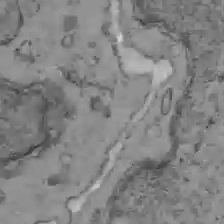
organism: C57BL Mouse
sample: Liver